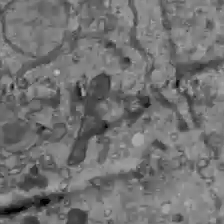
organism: C57BL Mouse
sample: Liver